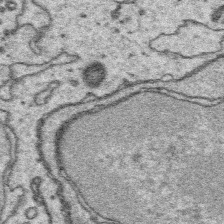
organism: Platynereis dumerilii